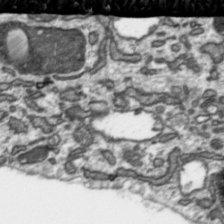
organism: Toxoplasma gondii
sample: Parasites in a vacuole inside a host cell